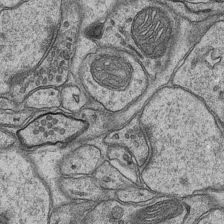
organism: Mouse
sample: CA1 Hippocampus